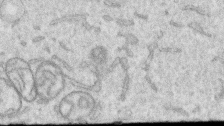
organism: Human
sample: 1205lu cells